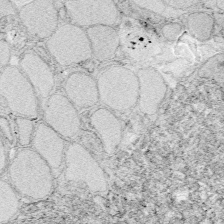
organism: Zebrafish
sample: Whole-Brain